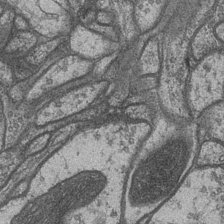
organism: Drosophila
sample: Optic medulla